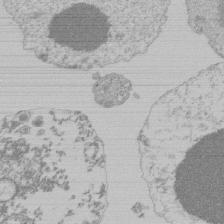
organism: Mouse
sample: Activated Pmel transgenic CD8+ T Cells